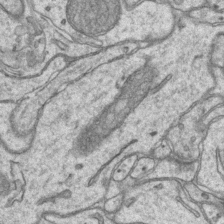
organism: Mouse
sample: CA1 Hippocampus